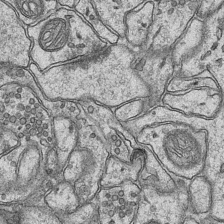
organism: Mouse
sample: CA1 Hippocampus